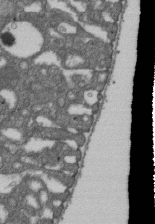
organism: Drosophila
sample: Nephrocyte